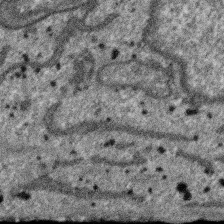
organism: Human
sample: Lung epithelial cells infected with SARS-CoV-2